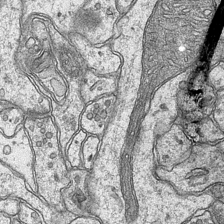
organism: Mouse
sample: CA1 Hippocampus